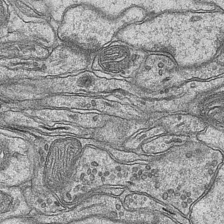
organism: Mouse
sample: CA1 Hippocampus